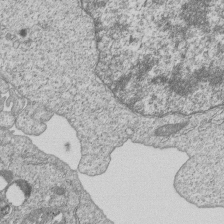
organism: Human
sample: MDA-MB-231 cells